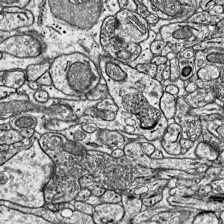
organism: Mouse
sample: Visual Cortex